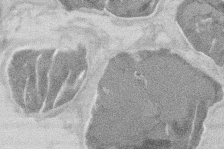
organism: Mouse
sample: T cell stromal cell synapse